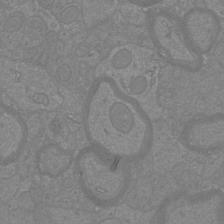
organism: Mouse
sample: Cortical neurons